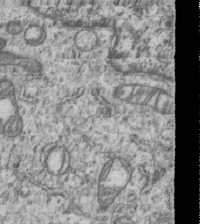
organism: Human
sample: MDA-MB-231 cells